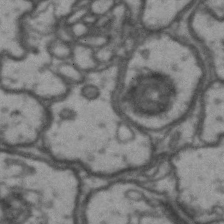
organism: Drosophila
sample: Brain